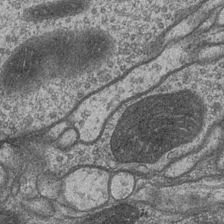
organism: Drosophila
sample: Optic medulla